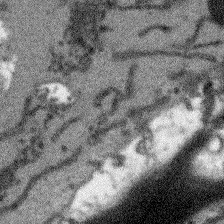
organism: Arabidopsis thaliana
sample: Root tip